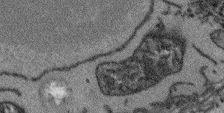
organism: Arabidopsis thaliana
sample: Root tip